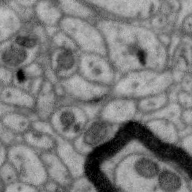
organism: Zebra finch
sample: Brain